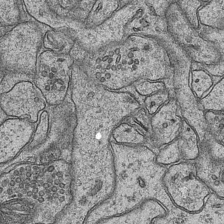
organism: Mouse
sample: CA1 Hippocampus